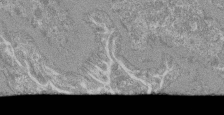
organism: Mouse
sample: Glomerulus